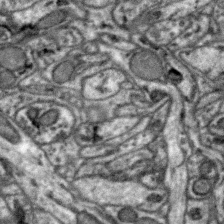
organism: Zebra finch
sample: Brain